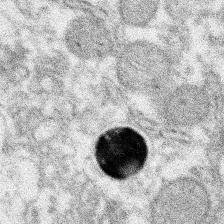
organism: Xenopus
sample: Cilia; centrioles in frog embryo cells